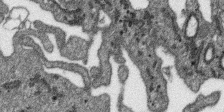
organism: Human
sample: Lung epithelial cells infected with SARS-CoV-2